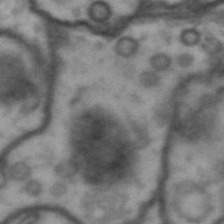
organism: Drosophila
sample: Brain